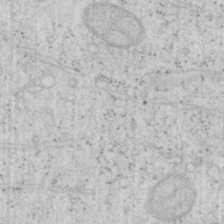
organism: Human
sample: HeLa cells